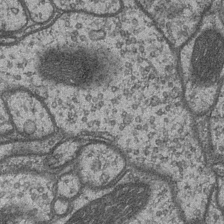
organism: Drosophila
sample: Optic medulla